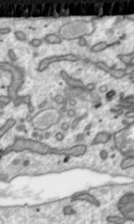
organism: Toxoplasma gondii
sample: Parasites in a vacuole inside a host cell